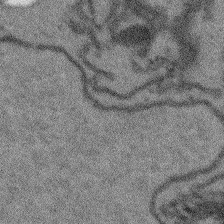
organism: Arabidopsis thaliana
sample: Root tip